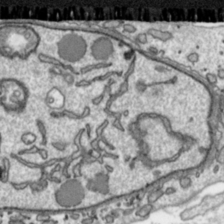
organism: Toxoplasma gondii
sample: Parasites in a vacuole inside a host cell